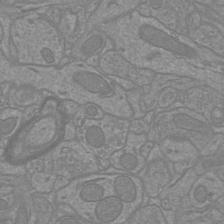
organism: Mouse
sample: Cortical neurons